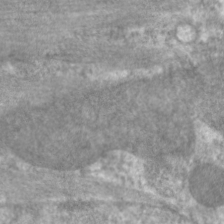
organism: C. elegans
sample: Pharynx